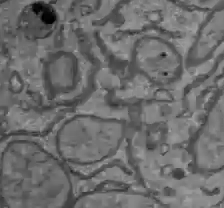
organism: C57BL Mouse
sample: Liver